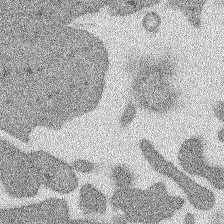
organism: Human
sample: HeLa cells